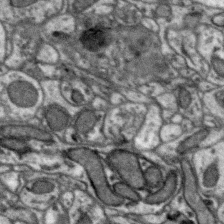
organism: Zebra finch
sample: Brain